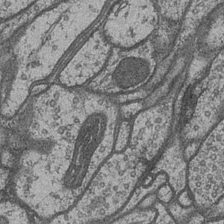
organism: Drosophila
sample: Optic medulla